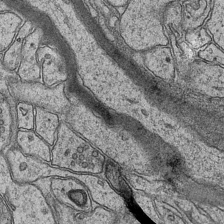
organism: Mouse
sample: CA1 Hippocampus